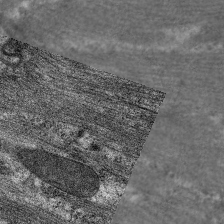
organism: C. elegans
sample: Pharynx